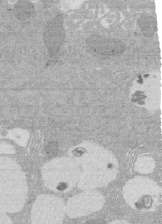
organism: Rat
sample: Salivary granule